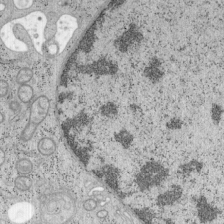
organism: Mouse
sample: OT-I killer T cells with ID8 ovarian cancer cells